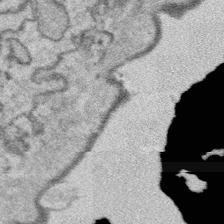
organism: Platynereis dumerilii